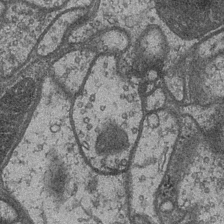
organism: Drosophila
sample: Optic medulla